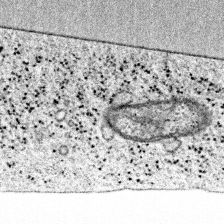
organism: Human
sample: HeLa cells